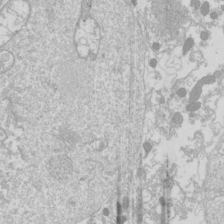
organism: Drosophila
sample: Cell division; meiosis; drosophila spermatocytes